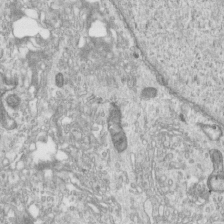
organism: Human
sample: Centriole in RPE cells